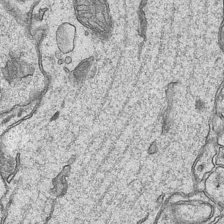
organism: Mouse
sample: CA1 Hippocampus